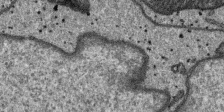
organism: Human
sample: Lung epithelial cells, uninfected (mock) control